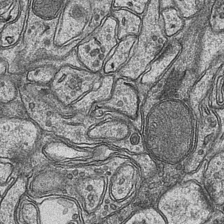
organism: Mouse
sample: CA1 Hippocampus